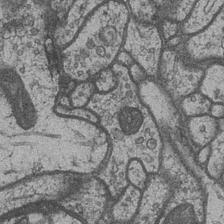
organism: Drosophila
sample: Optic medulla